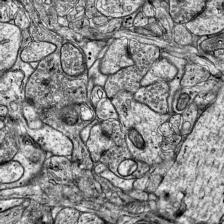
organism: Mouse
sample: Visual Cortex